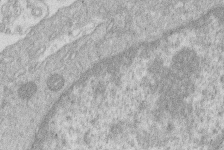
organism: Human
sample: Macrophage cells